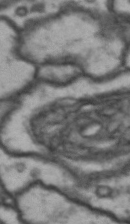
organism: Drosophila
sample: Brain